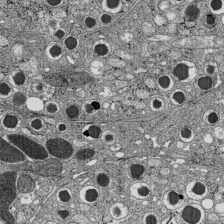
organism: C57BL Mouse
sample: Pancreatic islet